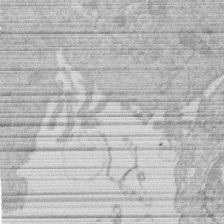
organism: Human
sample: Macrophage cells